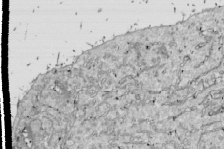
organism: Drosophila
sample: Cell division; meiosis; drosophila spermatocytes